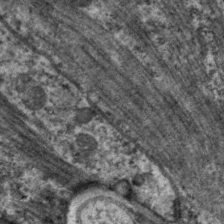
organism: C. elegans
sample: Pharynx